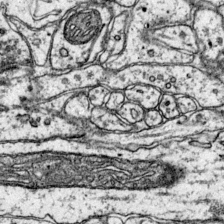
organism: Mouse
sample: Primary visual cortex